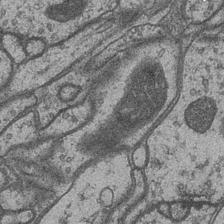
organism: Drosophila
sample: Optic medulla